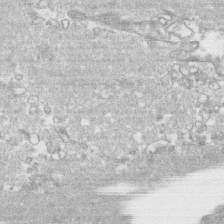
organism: Human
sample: CRL-1474